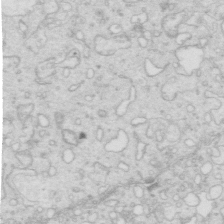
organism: Mouse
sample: Multiciliated cells